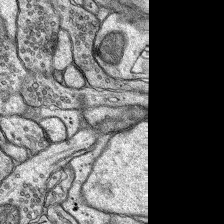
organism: Rat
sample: Hippocampus